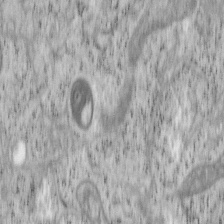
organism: Human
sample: HeLa cells